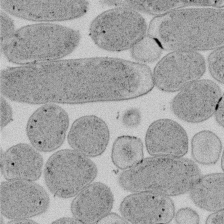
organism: E. coli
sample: Bacterial nucleoid